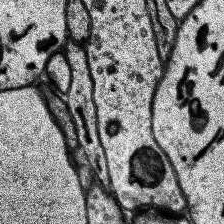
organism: Human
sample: Temporal Lobe